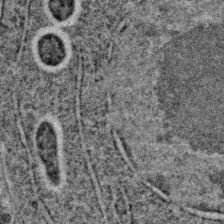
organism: C. elegans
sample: C. elegans embryo